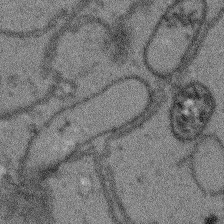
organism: Arabidopsis thaliana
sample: Root tip